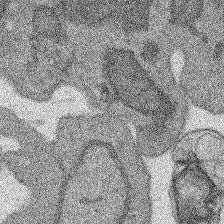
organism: Human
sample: HeLa cells